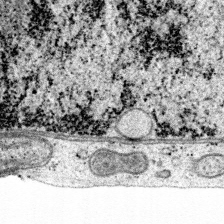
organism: Human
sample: HeLa cells